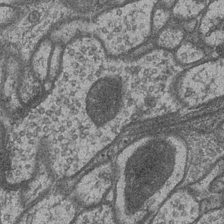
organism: Drosophila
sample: Optic medulla